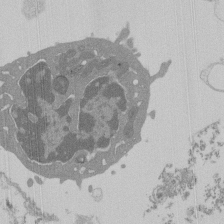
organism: Mouse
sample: Activated Pmel transgenic CD8+ T Cells